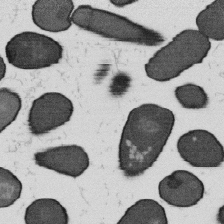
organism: B. subtilis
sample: Bacterial spore